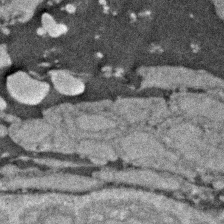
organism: Zebrafish